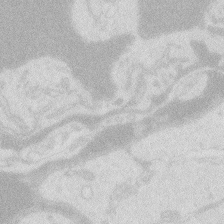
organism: Zebrafish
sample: Macrophage